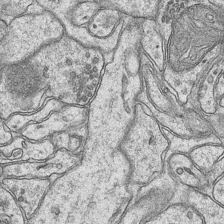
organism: Mouse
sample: CA1 Hippocampus